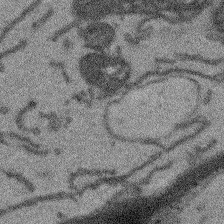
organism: Arabidopsis thaliana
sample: Root tip